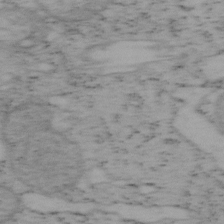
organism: Mouse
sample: OT-I killer T cells with ID8 ovarian cancer cells